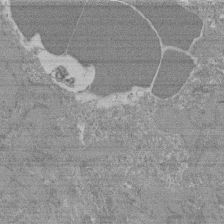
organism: Mouse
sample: Glomerulus